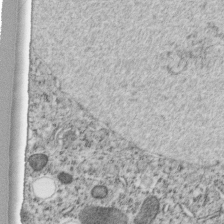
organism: C. elegans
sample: C. elegans embryo early stage